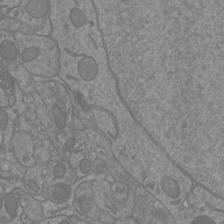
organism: Mouse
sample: Cortical neurons